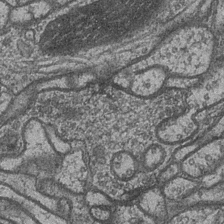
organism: Drosophila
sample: Optic medulla